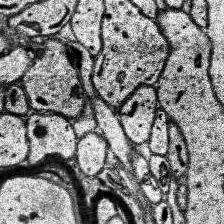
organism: Human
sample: Temporal Lobe